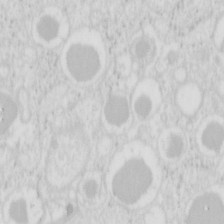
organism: Mouse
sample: Pancreas